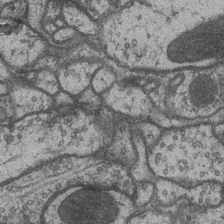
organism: Drosophila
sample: Optic medulla